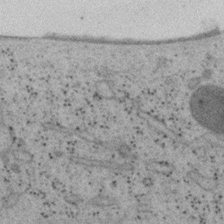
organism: Human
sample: HeLa cells